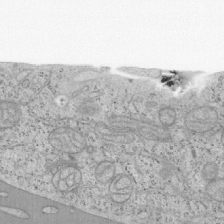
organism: Human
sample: HeLa cells